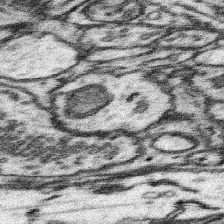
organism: Mouse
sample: Somatosensory cortex neuropil